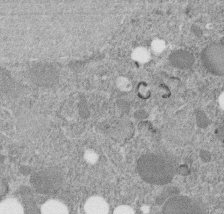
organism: C. elegans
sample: C. elegans embryo early stage